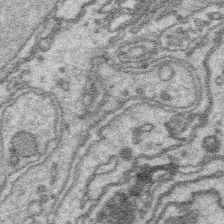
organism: Platynereis dumerilii